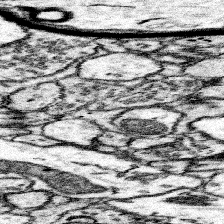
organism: Mouse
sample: Somatosensory cortex neuropil